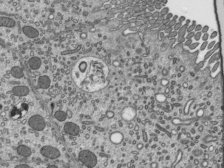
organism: Mouse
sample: Mouse epididymis efferent ductule cilia